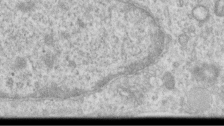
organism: Human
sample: Centriole in RPE cells